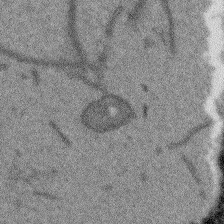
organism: Arabidopsis thaliana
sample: Root tip